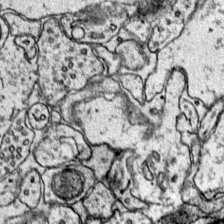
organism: Mouse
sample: Primary visual cortex